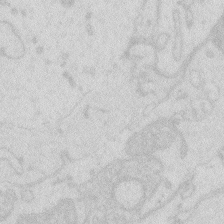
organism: Zebrafish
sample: Macrophage